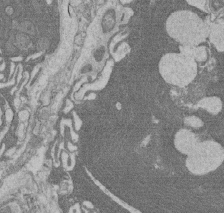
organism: Rat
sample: Salivary granule